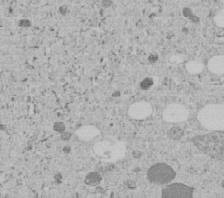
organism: C. elegans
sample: C. elegans embryo early stage